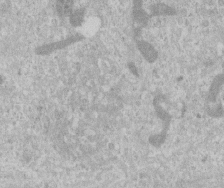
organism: Human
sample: Centriole in RPE cells